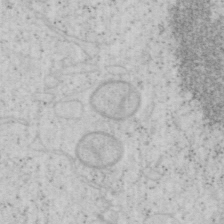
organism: Human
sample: HeLa cells